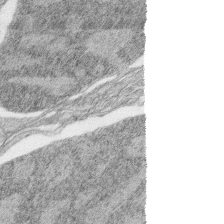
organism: Zebrafish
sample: synaptic ribbons in rod cells and cone cells